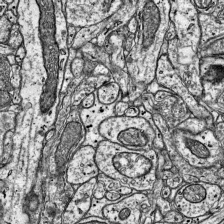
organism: Mouse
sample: Visual Cortex